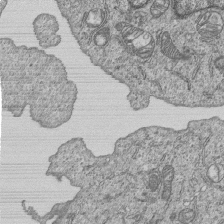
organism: Human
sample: MDA-MB-231 cells